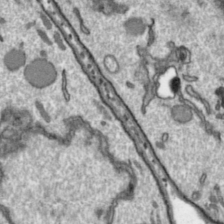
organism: Toxoplasma gondii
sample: Parasites in a vacuole inside a host cell